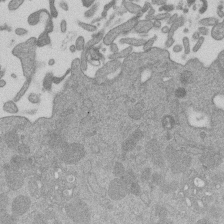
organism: Mouse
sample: Dividing mouse embryo 1 cell stage